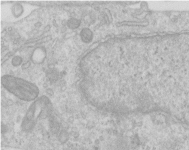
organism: Human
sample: Centriole in RPE cells